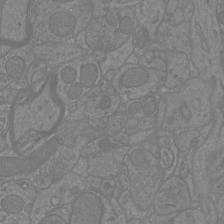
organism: Mouse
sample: Cortical neurons